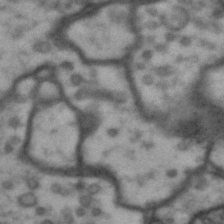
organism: Drosophila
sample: Brain